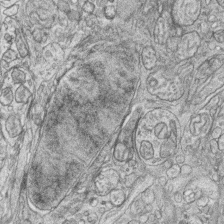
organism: Zebrafish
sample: synaptic ribbons in rod cells and cone cells